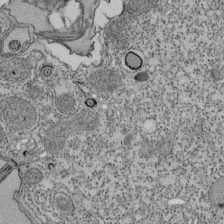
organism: Tetrahymena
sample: Cilia in tetrahymena